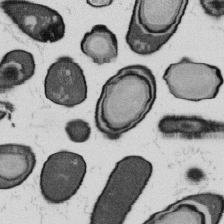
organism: B. subtilis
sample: Bacterial spore